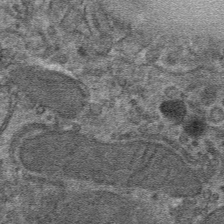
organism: Mouse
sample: Mouse hepatocytes